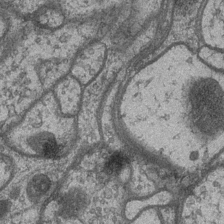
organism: Drosophila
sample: Optic medulla